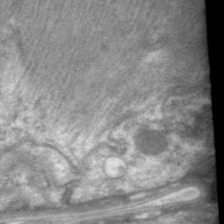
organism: C. elegans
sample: Pharynx